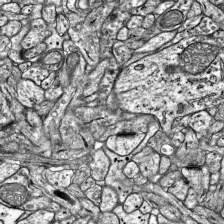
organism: Mouse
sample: Visual Cortex